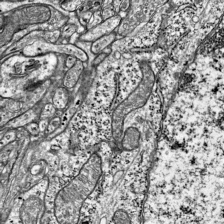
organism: Mouse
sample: Visual Cortex